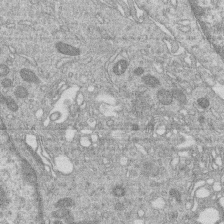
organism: Human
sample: Macrophage cells